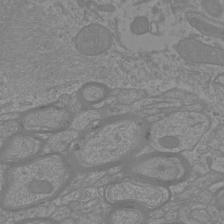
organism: Mouse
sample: Cortical neurons